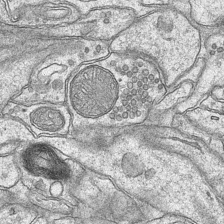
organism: Mouse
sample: CA1 Hippocampus